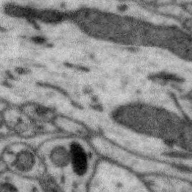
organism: Zebra finch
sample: Brain